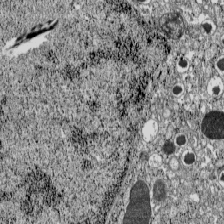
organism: C57BL Mouse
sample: Pancreatic islet